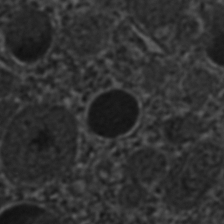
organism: C. elegans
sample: C. elegans embryo